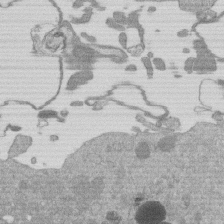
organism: Mouse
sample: Dividing mouse embryo 1 cell stage